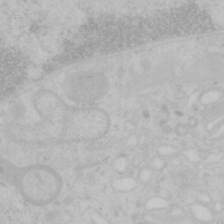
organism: Mouse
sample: OT-I killer T cells with ID8 ovarian cancer cells